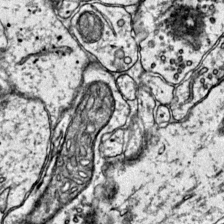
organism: Mouse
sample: Primary visual cortex